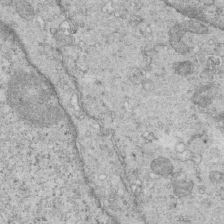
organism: Mouse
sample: Multiciliated cells